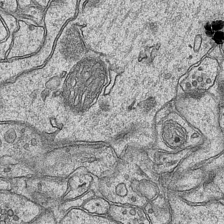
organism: Mouse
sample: CA1 Hippocampus